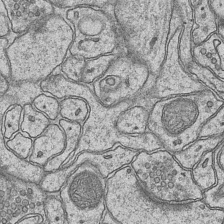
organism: Mouse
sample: CA1 Hippocampus